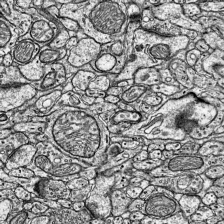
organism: Mouse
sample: Visual Cortex